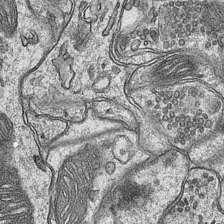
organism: Mouse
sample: CA1 Hippocampus